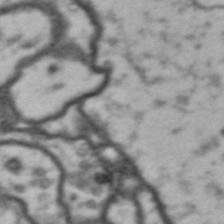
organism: Drosophila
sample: Brain